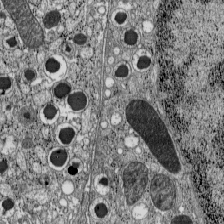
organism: C57BL Mouse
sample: Pancreatic islet